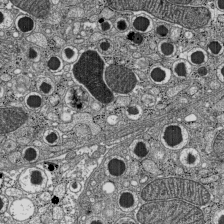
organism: C57BL Mouse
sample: Pancreatic islet